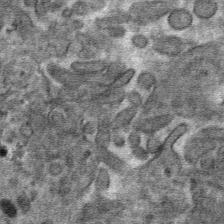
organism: Mouse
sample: Mouse hepatocytes